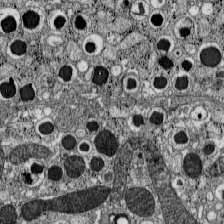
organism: C57BL Mouse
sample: Pancreatic islet